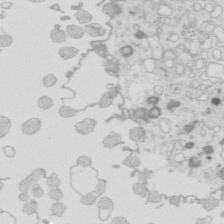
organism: Mouse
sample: Multiciliated cells